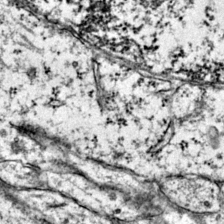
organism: Mouse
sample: Primary visual cortex